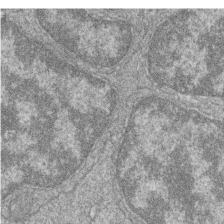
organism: Zebrafish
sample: Cilia; retinal pigment epithelium